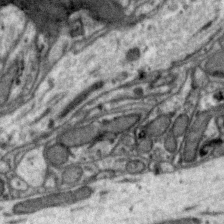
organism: Zebra finch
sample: Brain